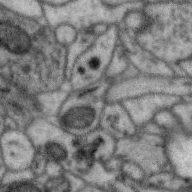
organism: Zebra finch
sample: Brain